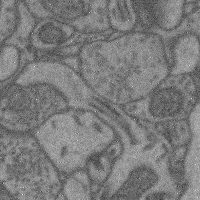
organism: Mouse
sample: Cerebral cortex